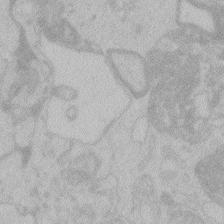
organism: Zebrafish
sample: Macrophage infected with Toxoplasma gondii